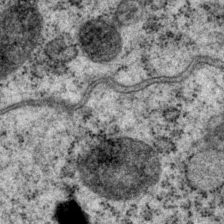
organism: P. pacificus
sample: Pharynx